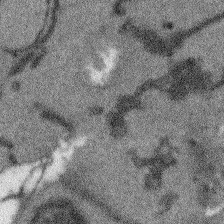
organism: Arabidopsis thaliana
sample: Root tip